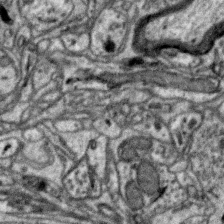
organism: Zebra finch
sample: Brain